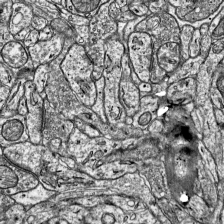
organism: Mouse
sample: Visual Cortex